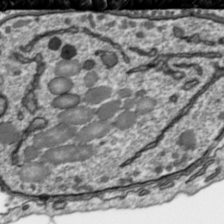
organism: Toxoplasma gondii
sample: Parasites in a vacuole inside a host cell